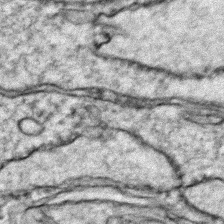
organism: Zebrafish